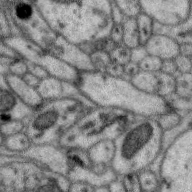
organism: Zebra finch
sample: Brain